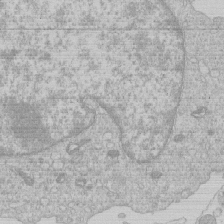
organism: Human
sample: Macrophage cells